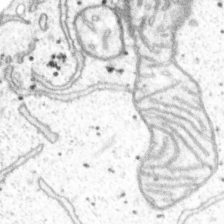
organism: Human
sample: HeLa cells